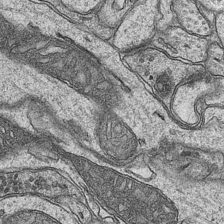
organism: Mouse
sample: CA1 Hippocampus